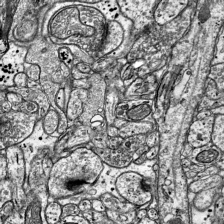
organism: Mouse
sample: Visual Cortex